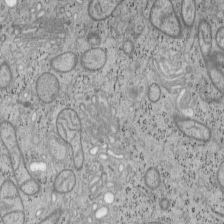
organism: Mouse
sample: OT-I killer T cells with ID8 ovarian cancer cells